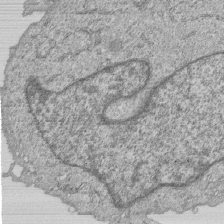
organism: Human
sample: MDA-MB-231 cells